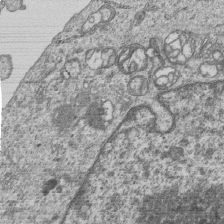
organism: Human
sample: MDA-MB-231 cells